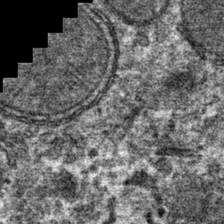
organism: Mouse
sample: Mouse hepatocytes